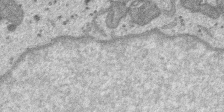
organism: Human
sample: Lung epithelial cells infected with SARS-CoV-2